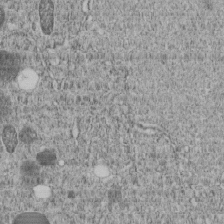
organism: C. elegans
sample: C. elegans embryo early stage